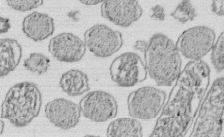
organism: E. coli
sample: Bacterial nucleoid